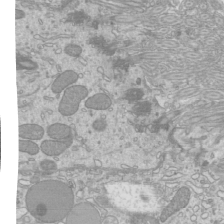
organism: Mouse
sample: Cilia; mouse epididymis